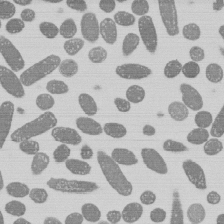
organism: E. coli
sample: Bacterial nucleoid